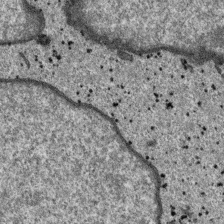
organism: Human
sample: Lung epithelial cells, uninfected (mock) control